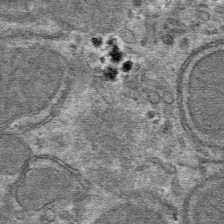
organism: Mouse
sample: Mouse hepatocytes